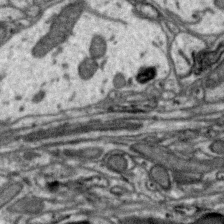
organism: Zebra finch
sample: Brain